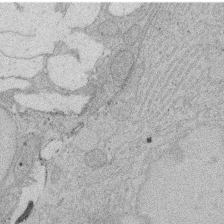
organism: Rat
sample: Salivary granule